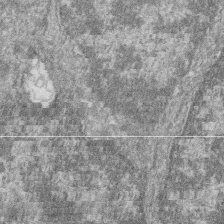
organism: Zebrafish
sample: Cilia; retinal pigment epithelium